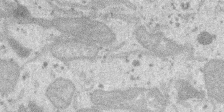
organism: Human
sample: Lung epithelial cells infected with SARS-CoV-2